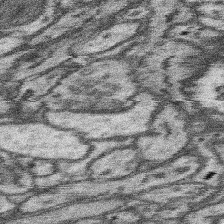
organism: Mouse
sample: Somatosensory cortex neuropil